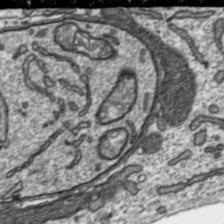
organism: Toxoplasma gondii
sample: Parasites in a vacuole inside a host cell